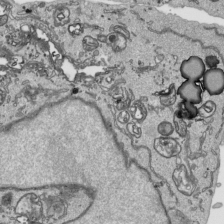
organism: Human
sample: Mitochondria in HCT116 cells